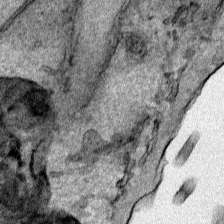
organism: Human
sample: Mitochondria in HCT116 cells